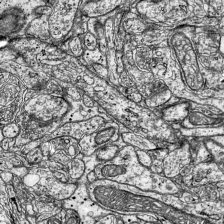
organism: Mouse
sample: Visual Cortex